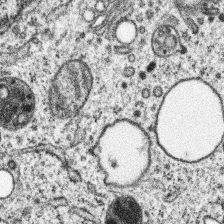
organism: Human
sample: HeLa cells